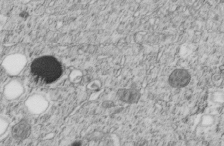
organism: C. elegans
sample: C. elegans embryo early stage